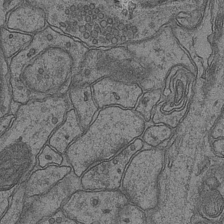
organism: Mouse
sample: CA1 Hippocampus